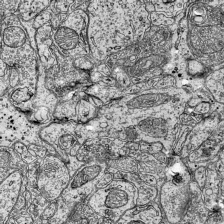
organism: Mouse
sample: Visual Cortex